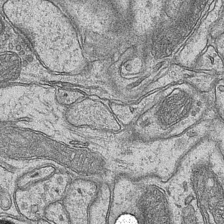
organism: Mouse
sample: CA1 Hippocampus